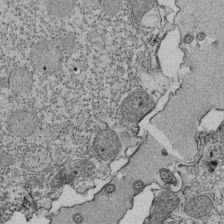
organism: Tetrahymena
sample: Cilia in tetrahymena